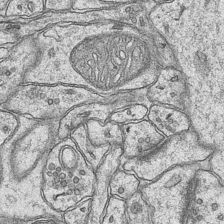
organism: Mouse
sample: CA1 Hippocampus